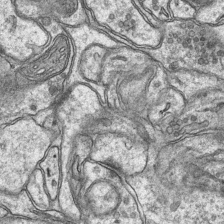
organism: Mouse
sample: CA1 Hippocampus